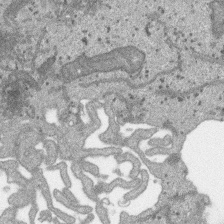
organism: Human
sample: Lung epithelial cells infected with SARS-CoV-2